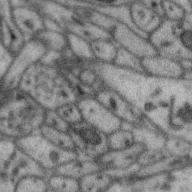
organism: Zebra finch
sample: Brain